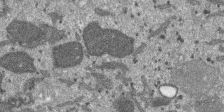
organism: Human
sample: Lung epithelial cells infected with SARS-CoV-2